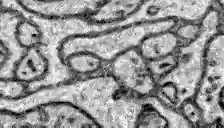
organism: Zebrafish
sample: Brain